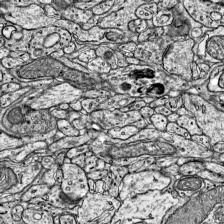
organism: Mouse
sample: Visual Cortex